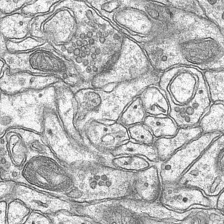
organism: Mouse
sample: CA1 Hippocampus